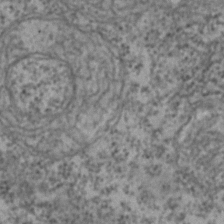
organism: Zebrafish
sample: Zebrafish embryo